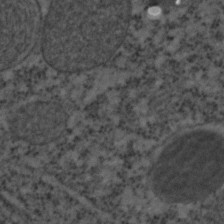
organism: C. elegans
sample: C. elegans embryo